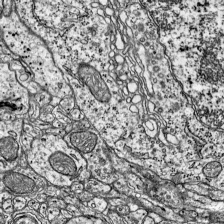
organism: Mouse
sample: Visual Cortex